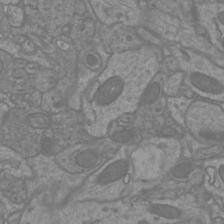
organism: Mouse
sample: Cortical neurons